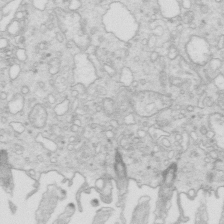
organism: Mouse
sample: Multiciliated cells